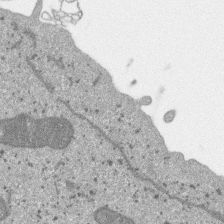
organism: Human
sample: Lung epithelial cells infected with SARS-CoV-2